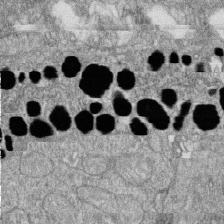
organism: Zebrafish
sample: Cilia; retinal pigment epithelium